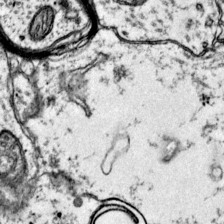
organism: Mouse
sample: Primary visual cortex